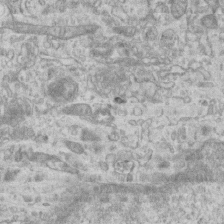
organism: Mouse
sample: Centriole in ependymal cells